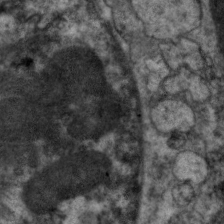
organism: C. elegans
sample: Pharynx